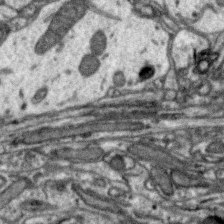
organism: Zebra finch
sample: Brain